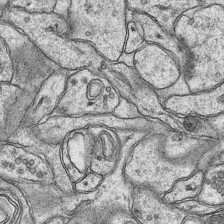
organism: Mouse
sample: CA1 Hippocampus